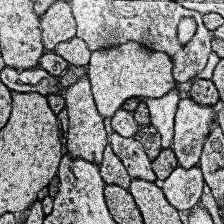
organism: Human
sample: Temporal Lobe